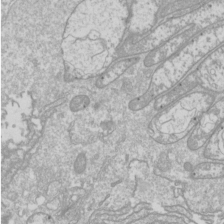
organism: Drosophila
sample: Cell division; meiosis; drosophila spermatocytes